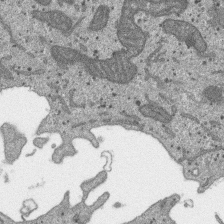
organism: Human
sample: Lung epithelial cells infected with SARS-CoV-2